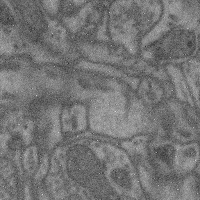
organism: Mouse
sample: Cerebral cortex